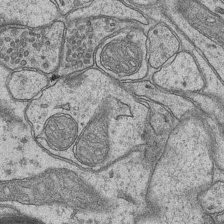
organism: Mouse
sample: CA1 Hippocampus